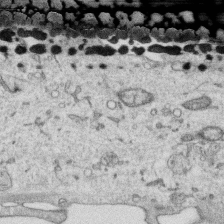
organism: Human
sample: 1205lu cells